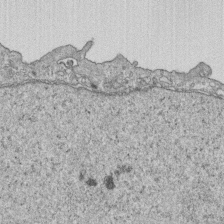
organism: Human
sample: HeLa cell HIV synapse